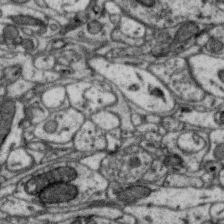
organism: Zebra finch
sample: Brain